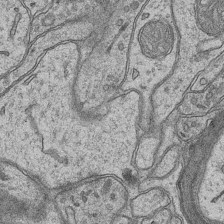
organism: Mouse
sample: CA1 Hippocampus